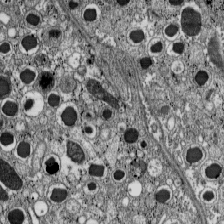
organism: C57BL Mouse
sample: Pancreatic islet